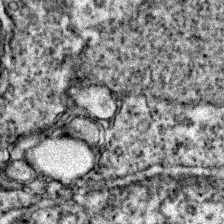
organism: Zebrafish